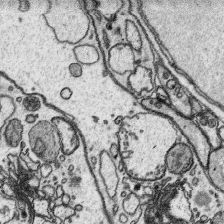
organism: Platynereis dumerilii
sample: Parapodia